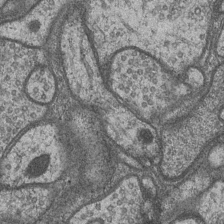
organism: Drosophila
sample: Optic medulla